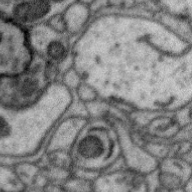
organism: Zebra finch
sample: Brain